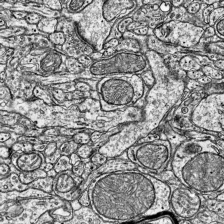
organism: Mouse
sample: Visual Cortex